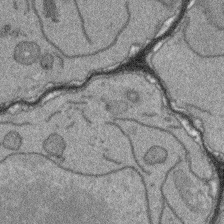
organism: Arabidopsis thaliana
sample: Root tip